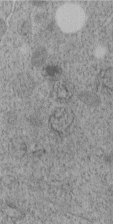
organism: C. elegans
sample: C. elegans embryo early stage